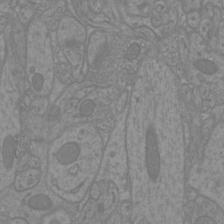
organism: Mouse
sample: Cortical neurons